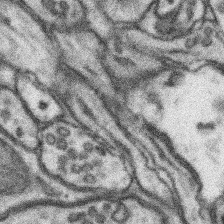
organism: Mouse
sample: Somatosensory cortex neuropil